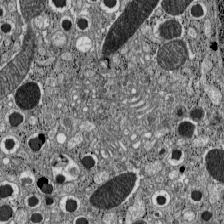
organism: C57BL Mouse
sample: Pancreatic islet